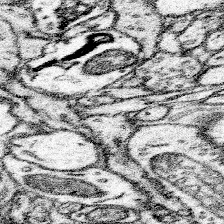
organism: Mouse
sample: Somatosensory cortex neuropil